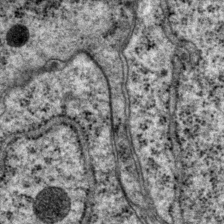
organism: P. pacificus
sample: Pharynx